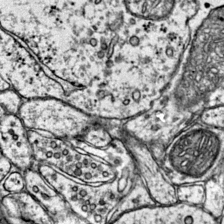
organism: Mouse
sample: Primary visual cortex